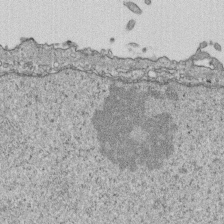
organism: Human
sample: HeLa cell HIV synapse